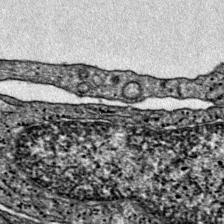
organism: Mouse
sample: Primary visual cortex